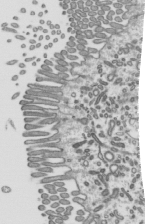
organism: Mouse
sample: Mouse epididymis efferent ductule cilia